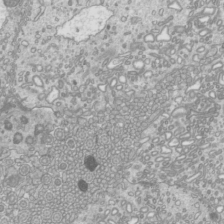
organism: Mouse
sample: Cilia; mouse epididymis